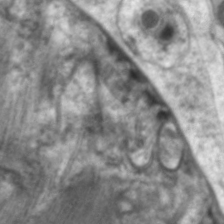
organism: C. elegans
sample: Pharynx